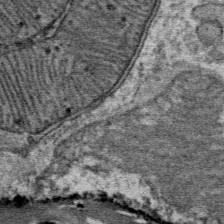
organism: Mouse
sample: Mouse Salivary gland